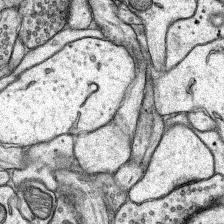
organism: Rat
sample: Hippocampus